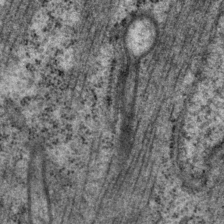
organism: P. pacificus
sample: Pharynx